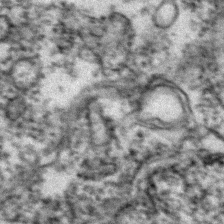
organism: Zebrafish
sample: Zebrafish embryo